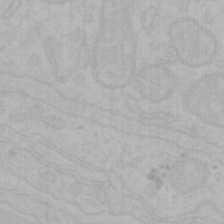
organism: Mouse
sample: Choroid plexus